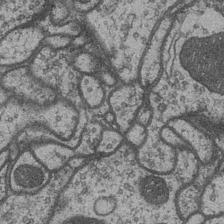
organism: Drosophila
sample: Optic medulla